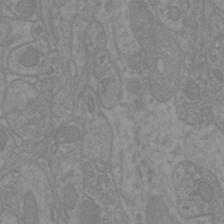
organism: Mouse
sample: Cortical neurons